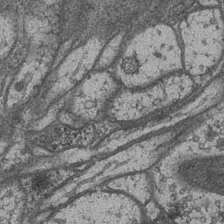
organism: Drosophila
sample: Optic medulla